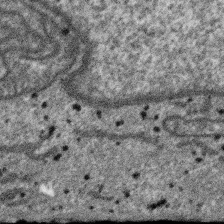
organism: Human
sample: Lung epithelial cells infected with SARS-CoV-2